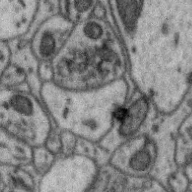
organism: Zebra finch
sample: Brain